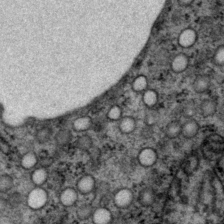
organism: P. pacificus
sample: Pharynx